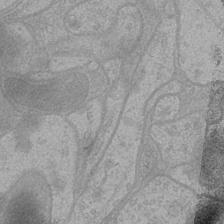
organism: Drosophila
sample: Optic medulla